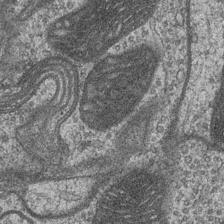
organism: Drosophila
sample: Optic medulla